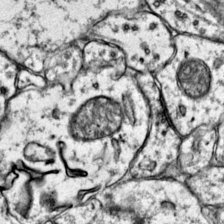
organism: Mouse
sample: Primary visual cortex